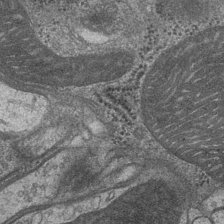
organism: Drosophila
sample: Optic medulla